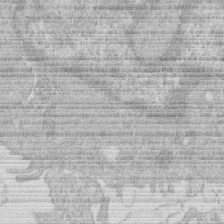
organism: Human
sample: Macrophage cells